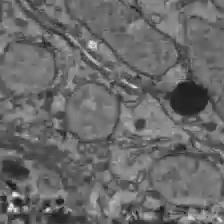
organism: C57BL Mouse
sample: Liver